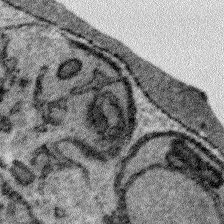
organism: Plasmodium falciparum